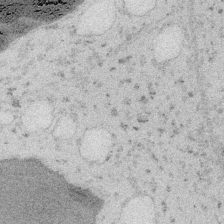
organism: Embia sp.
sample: Silk gland